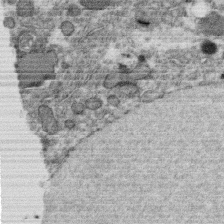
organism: C. elegans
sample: C. elegans oocyte; sperm cells